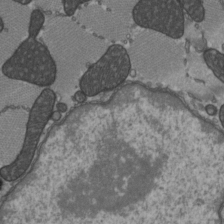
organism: C57BL Mouse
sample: Heart